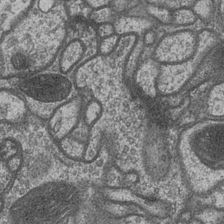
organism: Drosophila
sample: Optic medulla